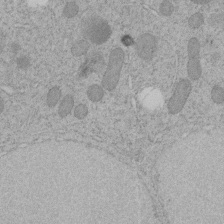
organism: C. elegans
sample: C. elegans embryo early stage